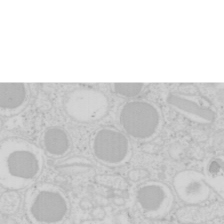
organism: Mouse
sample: Pancreas